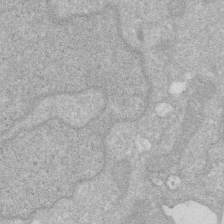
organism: Human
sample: HIV infected U937 cells